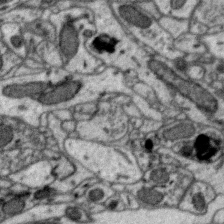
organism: Zebra finch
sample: Brain